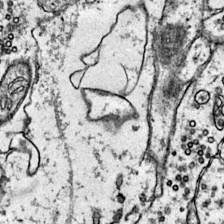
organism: Mouse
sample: Primary visual cortex